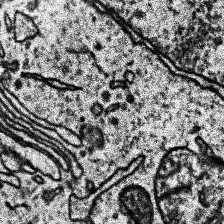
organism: Human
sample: Temporal Lobe